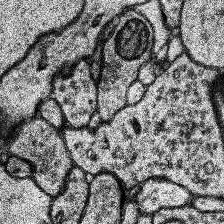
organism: Human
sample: Temporal Lobe